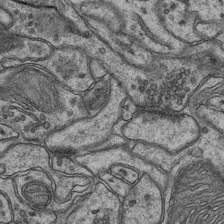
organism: Mouse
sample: CA1 Hippocampus